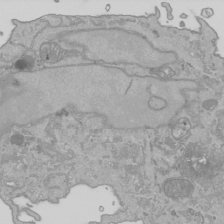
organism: Human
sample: Mitochondria in HCT116 cells